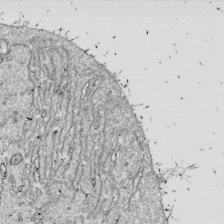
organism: Drosophila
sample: Cell division; meiosis; drosophila spermatocytes